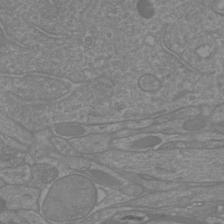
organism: Mouse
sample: Cortical neurons